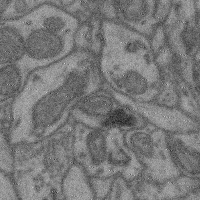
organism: Mouse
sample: Cerebral cortex